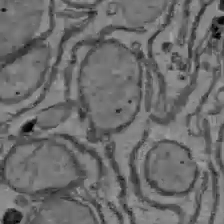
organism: C57BL Mouse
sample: Liver